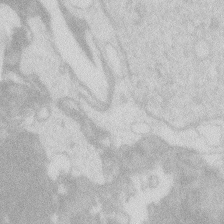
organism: Zebrafish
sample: Macrophage